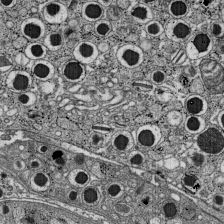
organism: C57BL Mouse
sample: Pancreatic islet